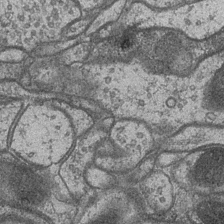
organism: Drosophila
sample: Optic medulla